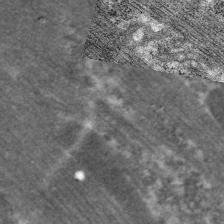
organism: C. elegans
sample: Pharynx